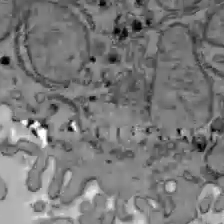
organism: C57BL Mouse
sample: Liver